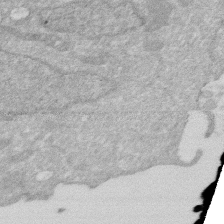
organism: Human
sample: HIV infected U937 cells